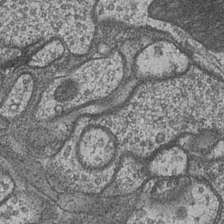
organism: Drosophila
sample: Optic medulla